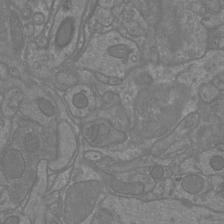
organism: Mouse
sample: Cortical neurons